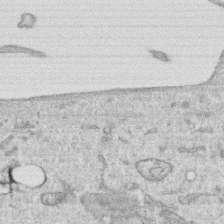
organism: Human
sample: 1205lu cells